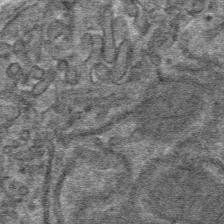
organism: Mouse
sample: Mouse hepatocytes